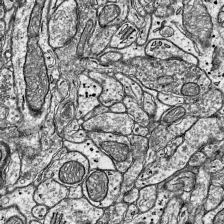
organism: Mouse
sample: Visual Cortex